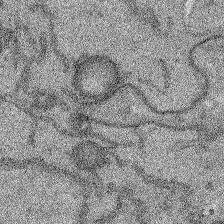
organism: Human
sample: HeLa cells